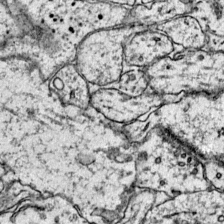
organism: Mouse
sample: Primary visual cortex